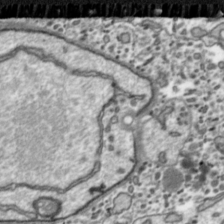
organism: Toxoplasma gondii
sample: Parasites in a vacuole inside a host cell